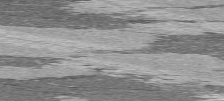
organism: C57BL Mouse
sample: Heart